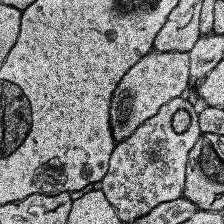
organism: Human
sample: Temporal Lobe